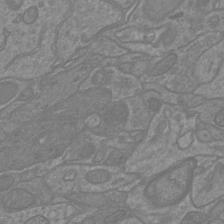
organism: Mouse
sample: Cortical neurons